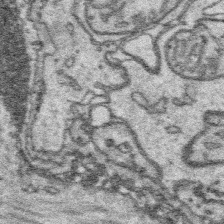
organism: Platynereis dumerilii